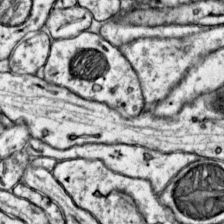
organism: Mouse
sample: Primary visual cortex